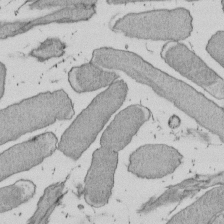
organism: E. coli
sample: Bacterial nucleoid